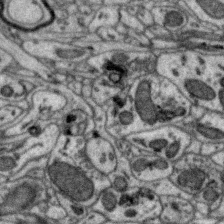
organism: Zebra finch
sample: Brain